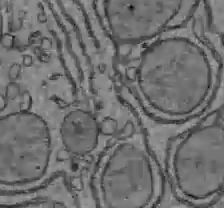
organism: C57BL Mouse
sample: Liver